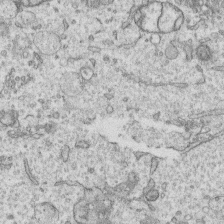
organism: Human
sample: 1205lu cells